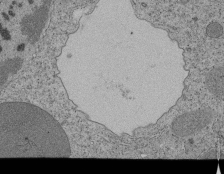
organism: Tetrahymena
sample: Cilia in tetrahymena